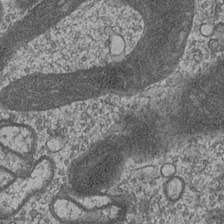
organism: Drosophila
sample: Optic medulla